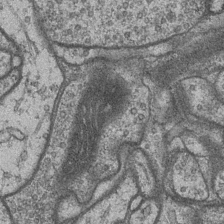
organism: Drosophila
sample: Optic medulla